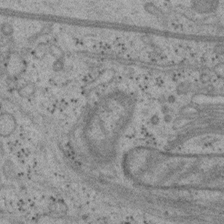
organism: Human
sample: HeLa cells